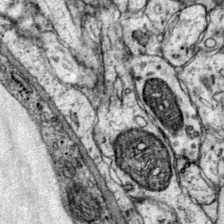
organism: Mouse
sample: Primary visual cortex